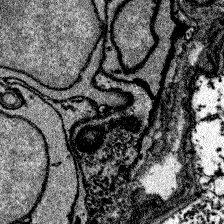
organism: Zebrafish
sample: Larval olfactory bulb